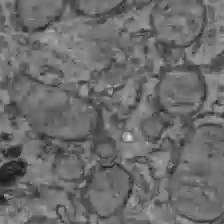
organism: C57BL Mouse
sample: Liver